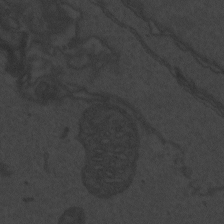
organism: Zebrafish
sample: Macrophage infected with Toxoplasma gondii